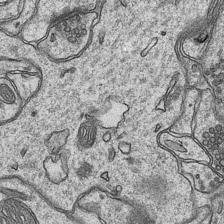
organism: Mouse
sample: CA1 Hippocampus